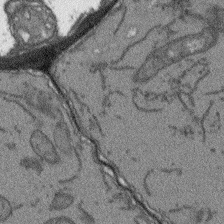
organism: Arabidopsis thaliana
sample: Root tip